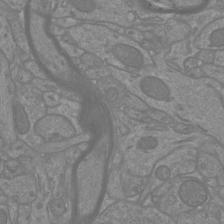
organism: Mouse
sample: Cortical neurons